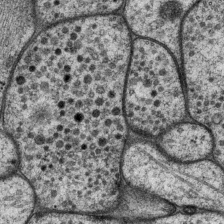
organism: P. pacificus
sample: Pharynx